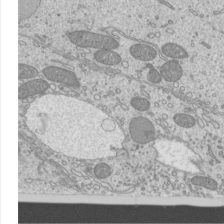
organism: Mouse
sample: Cilia; mouse epididymis